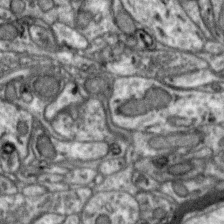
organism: Zebra finch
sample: Brain